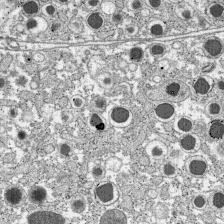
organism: C57BL Mouse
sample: Pancreatic islet